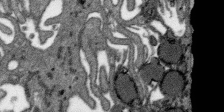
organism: Human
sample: Lung epithelial cells, uninfected (mock) control